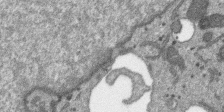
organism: Human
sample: Lung epithelial cells infected with SARS-CoV-2